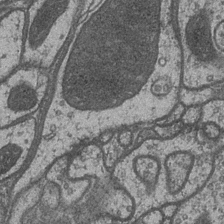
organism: Drosophila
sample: Optic medulla